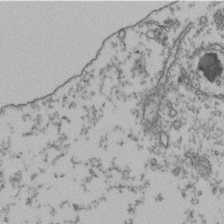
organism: Human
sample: Activated Jurkat CD4+ T cells